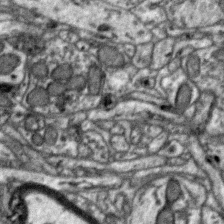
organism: Zebra finch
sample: Brain